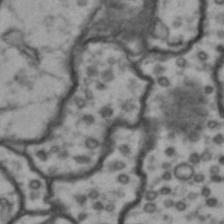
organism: Drosophila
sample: Brain